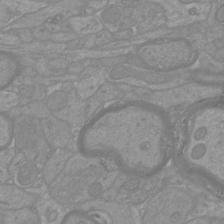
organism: Mouse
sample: Cortical neurons